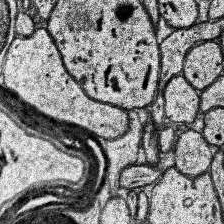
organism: Human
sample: Temporal Lobe